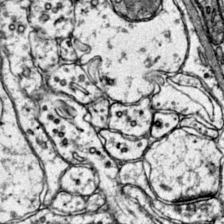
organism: Mouse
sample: Primary visual cortex